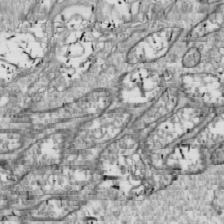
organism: Drosophila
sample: Cell division; meiosis; drosophila spermatocytes